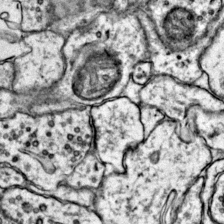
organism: Mouse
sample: Primary visual cortex